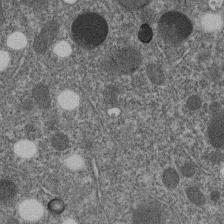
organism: C. elegans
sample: C. elegans embryo early stage